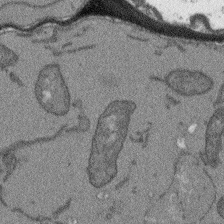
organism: Arabidopsis thaliana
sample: Root tip